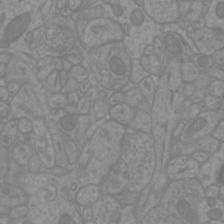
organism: Mouse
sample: Cortical neurons